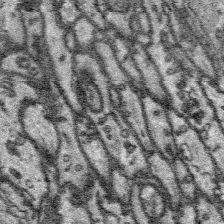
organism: Platynereis dumerilii